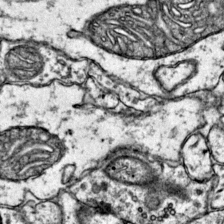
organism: Mouse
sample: Primary visual cortex